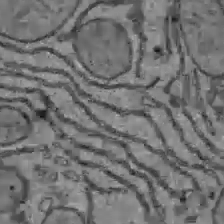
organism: C57BL Mouse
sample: Liver